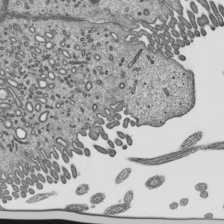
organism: Mouse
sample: Mouse epididymis efferent ductule cilia